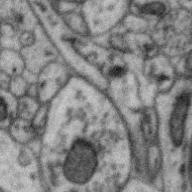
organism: Zebra finch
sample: Brain